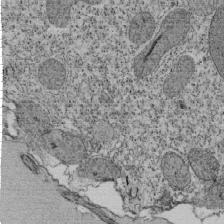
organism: Tetrahymena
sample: Cilia in tetrahymena